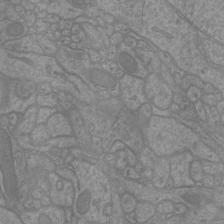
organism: Mouse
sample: Cortical neurons